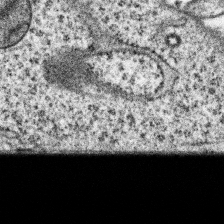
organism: Human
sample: HeLa cells